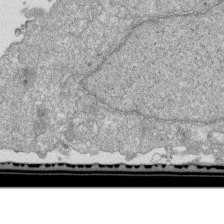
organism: Human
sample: HeLa cell HIV synapse